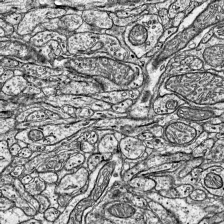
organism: Mouse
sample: Visual Cortex